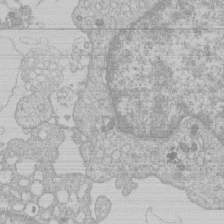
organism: Human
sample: Macrophage cells